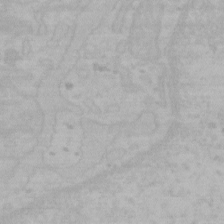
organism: Mouse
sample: Choroid plexus